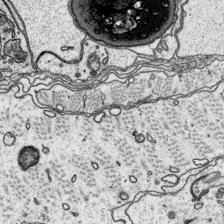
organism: Platynereis dumerilii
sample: Parapodia